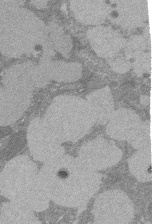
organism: Rat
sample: Salivary granule